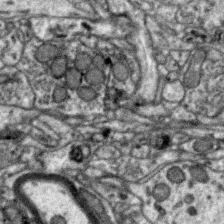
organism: Zebra finch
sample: Brain